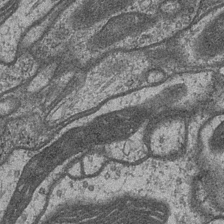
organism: Drosophila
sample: Optic medulla